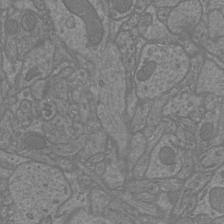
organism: Mouse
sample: Cortical neurons